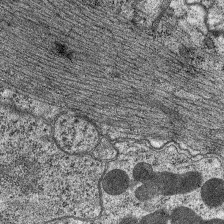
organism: C. elegans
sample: Pharynx